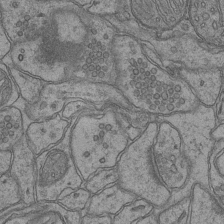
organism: Mouse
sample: CA1 Hippocampus